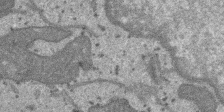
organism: Human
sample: Lung epithelial cells infected with SARS-CoV-2